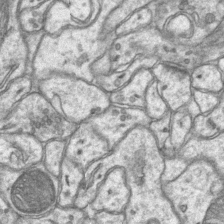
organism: Mouse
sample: CA1 Hippocampus